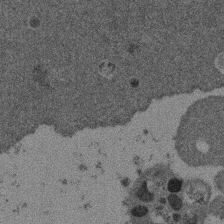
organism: Mouse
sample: Dividing mouse embryo 1 cell stage